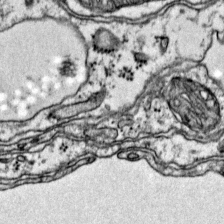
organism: Mouse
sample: Primary visual cortex